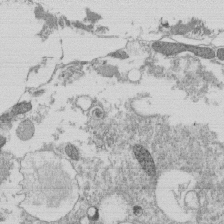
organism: Tetrahymena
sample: Cilia in tetrahymena